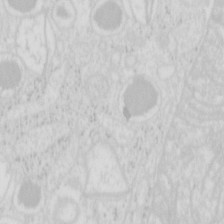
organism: Mouse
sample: Pancreas